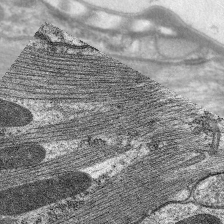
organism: C. elegans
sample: Pharynx